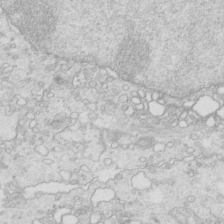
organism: Mouse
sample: Multiciliated cells